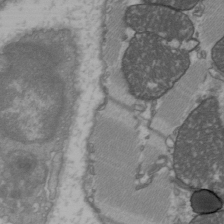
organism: C57BL Mouse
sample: Heart